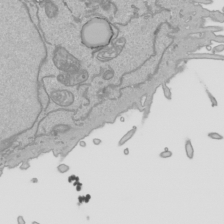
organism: Human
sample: Mitochondria in HCT116 cells